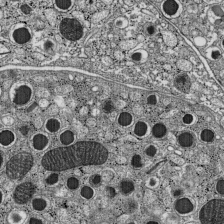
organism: C57BL Mouse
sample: Pancreatic islet